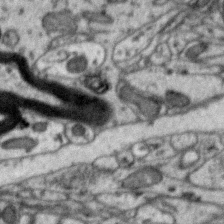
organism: Zebra finch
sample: Brain